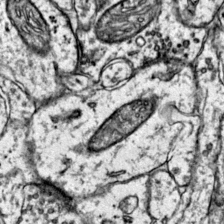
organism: Mouse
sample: Primary visual cortex